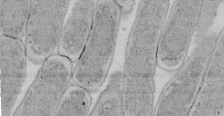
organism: E. coli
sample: Bacterial nucleoid